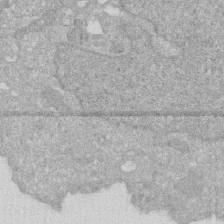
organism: Human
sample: HIV infected U937 cells